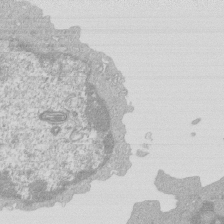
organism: Mouse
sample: Activated Pmel transgenic CD8+ T Cells